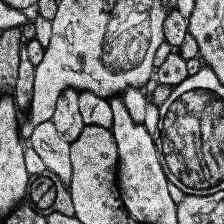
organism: Human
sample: Temporal Lobe